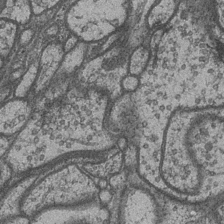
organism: Drosophila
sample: Optic medulla